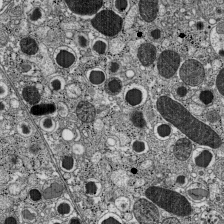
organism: C57BL Mouse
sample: Pancreatic islet